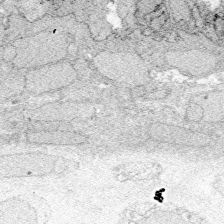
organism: Zebrafish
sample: Whole-Brain